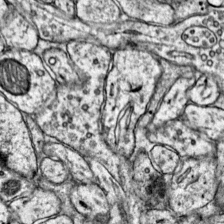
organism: Mouse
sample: Primary visual cortex